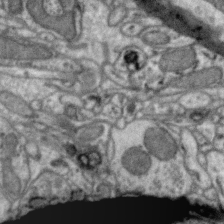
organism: Zebra finch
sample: Brain